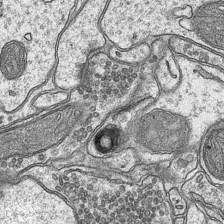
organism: Mouse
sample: CA1 Hippocampus